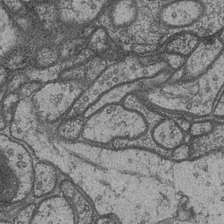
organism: Drosophila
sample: Optic medulla